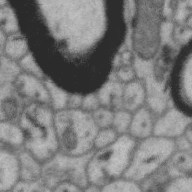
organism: Zebra finch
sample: Brain